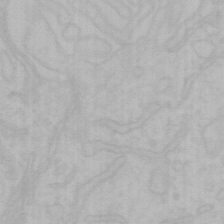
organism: Mouse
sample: Choroid plexus